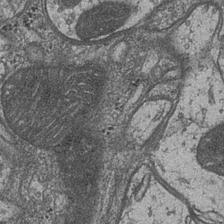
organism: Drosophila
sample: Optic medulla